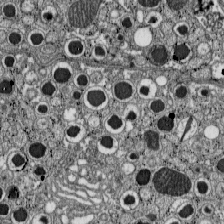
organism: C57BL Mouse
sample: Pancreatic islet